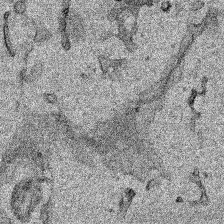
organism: Human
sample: Mitochondria in HCT116 cells